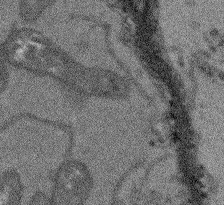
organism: Arabidopsis thaliana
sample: Root tip